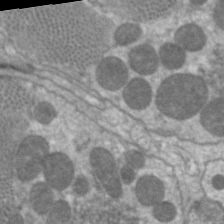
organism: C. elegans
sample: Pharynx